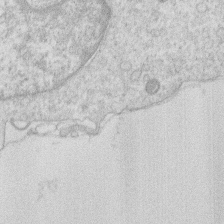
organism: Human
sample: Macrophage cells